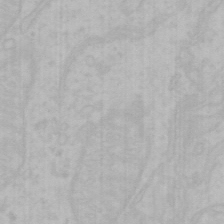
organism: Mouse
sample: Choroid plexus